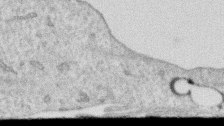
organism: Human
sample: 1205lu cells